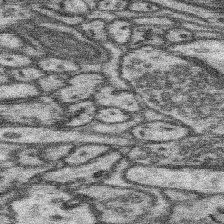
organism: Mouse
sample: Somatosensory cortex neuropil